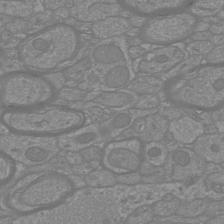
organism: Mouse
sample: Cortical neurons